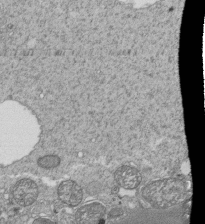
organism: Tetrahymena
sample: Cilia in tetrahymena